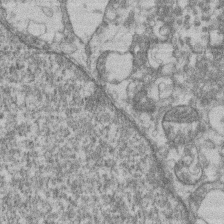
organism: Mouse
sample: T cell stromal cell synapse